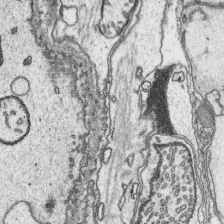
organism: Platynereis dumerilii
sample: Parapodia